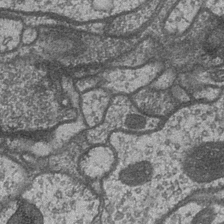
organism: Drosophila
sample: Optic medulla